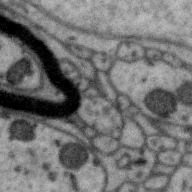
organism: Zebra finch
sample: Brain